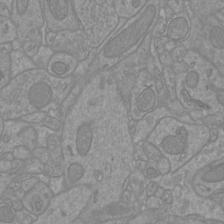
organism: Mouse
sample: Cortical neurons